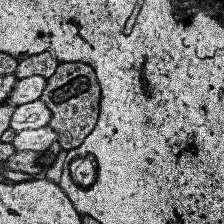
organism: Human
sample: Temporal Lobe